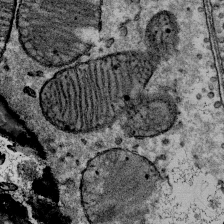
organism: Mouse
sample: Mouse Salivary gland